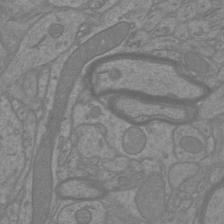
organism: Mouse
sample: Cortical neurons